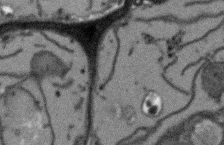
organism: Arabidopsis thaliana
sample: Root tip